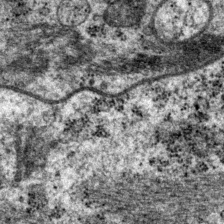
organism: P. pacificus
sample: Pharynx